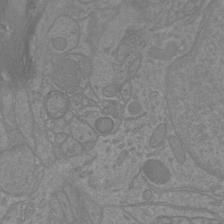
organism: Mouse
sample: Cortical neurons